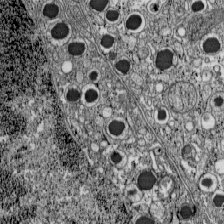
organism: C57BL Mouse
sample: Pancreatic islet